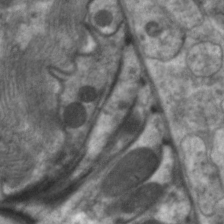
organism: C. elegans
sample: Pharynx